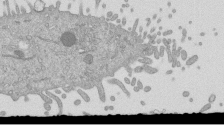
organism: Mouse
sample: ED-1 cell nuclei; centrioles